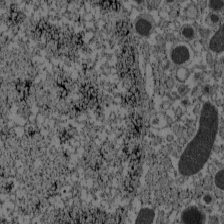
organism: C57BL Mouse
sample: Pancreatic islet